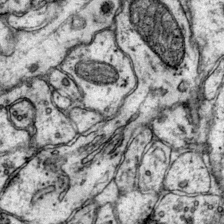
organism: Mouse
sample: Primary visual cortex